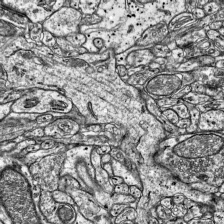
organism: Mouse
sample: Visual Cortex